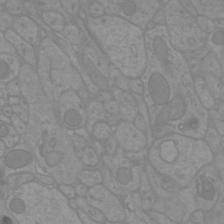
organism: Mouse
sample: Cortical neurons